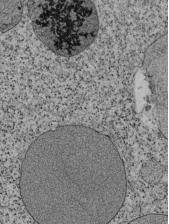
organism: Tetrahymena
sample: Cilia in tetrahymena